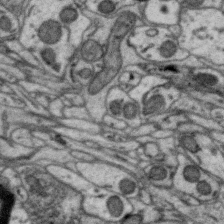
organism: Zebra finch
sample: Brain